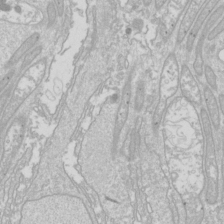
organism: Drosophila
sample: Cell division; meiosis; drosophila spermatocytes